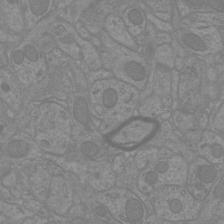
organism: Mouse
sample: Cortical neurons